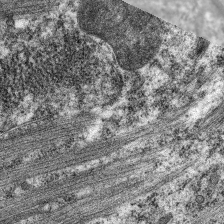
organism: C. elegans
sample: Pharynx